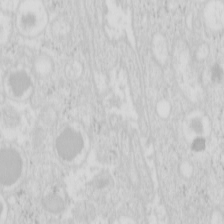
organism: Mouse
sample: Pancreas